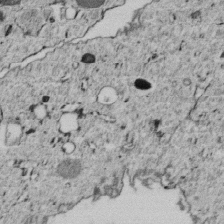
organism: C. elegans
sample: C. elegans embryo early stage